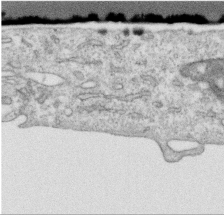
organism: Human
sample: Centriole in RPE cells